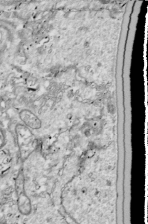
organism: Drosophila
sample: Cell division; meiosis; drosophila spermatocytes